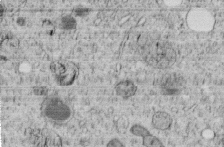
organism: C. elegans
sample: C. elegans embryo early stage